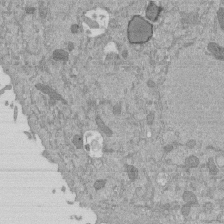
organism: Mouse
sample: ED-1 cell nuclei; centrioles